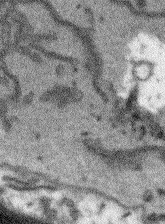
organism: Arabidopsis thaliana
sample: Root tip